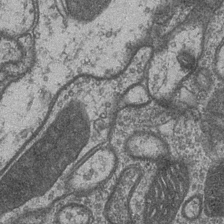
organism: Drosophila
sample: Optic medulla